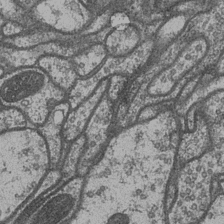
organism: Drosophila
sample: Optic medulla